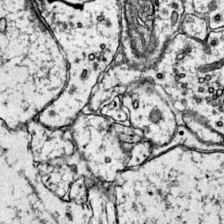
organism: Mouse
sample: Primary visual cortex